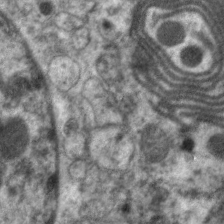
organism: C. elegans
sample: Pharynx